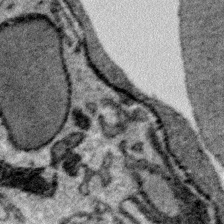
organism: Plasmodium falciparum